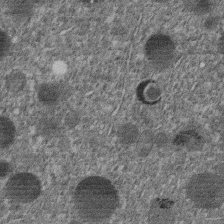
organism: C. elegans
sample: C. elegans embryo early stage